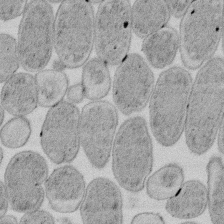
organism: E. coli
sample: Bacterial nucleoid